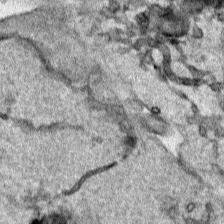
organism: Human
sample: Mitochondria in HCT116 cells